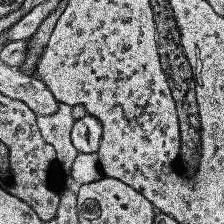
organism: Human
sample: Temporal Lobe